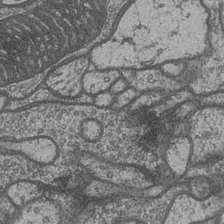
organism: Drosophila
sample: Optic medulla